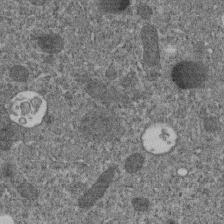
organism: C. elegans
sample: C. elegans embryo early stage